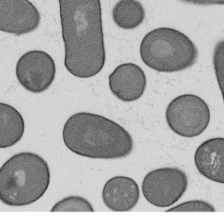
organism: B. subtilis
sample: Bacterial spore